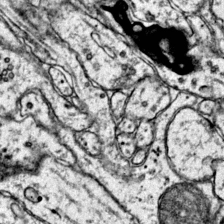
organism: Mouse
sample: Primary visual cortex